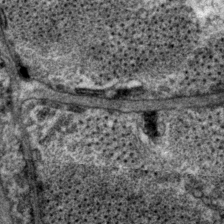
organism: P. pacificus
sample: Pharynx